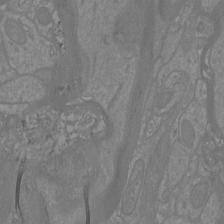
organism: Mouse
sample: Cortical neurons